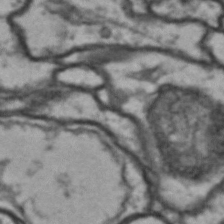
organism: Drosophila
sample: Brain